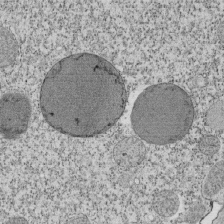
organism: Tetrahymena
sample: Cilia in tetrahymena